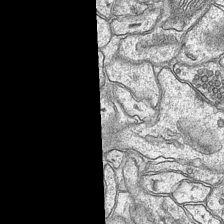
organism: Mouse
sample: CA1 Hippocampus